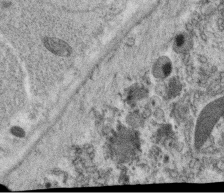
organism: C. elegans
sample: C. elegans oocyte; sperm cells